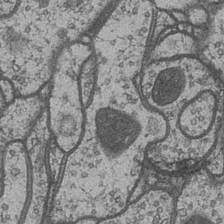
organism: Drosophila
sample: Optic medulla